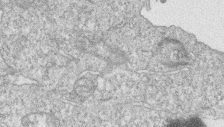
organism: Human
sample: HeLa cell HIV synapse